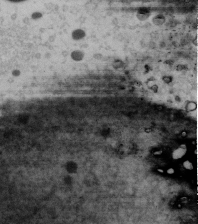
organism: Human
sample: U2-OS cells